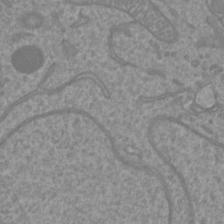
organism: Mouse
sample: Cortical neurons